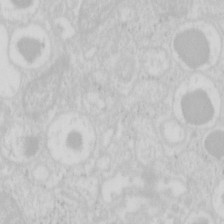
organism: Mouse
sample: Pancreas